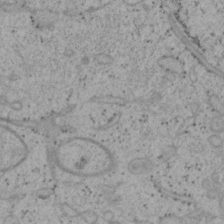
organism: Human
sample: HeLa cells